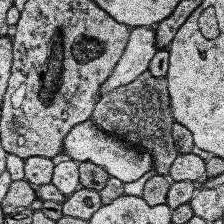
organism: Human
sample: Temporal Lobe